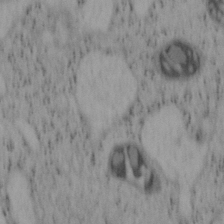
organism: Mouse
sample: OT-I killer T cells with ID8 ovarian cancer cells